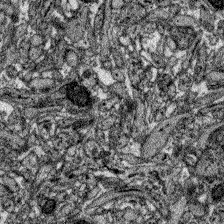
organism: Zebrafish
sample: Larval olfactory bulb